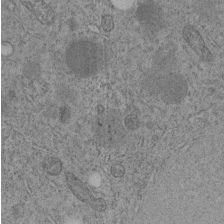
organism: C. elegans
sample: C. elegans embryo early stage